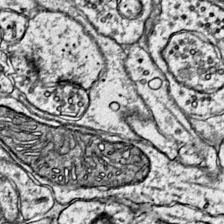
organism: Mouse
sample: Primary visual cortex